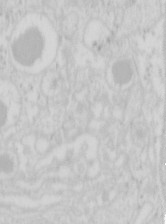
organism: Mouse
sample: Pancreas